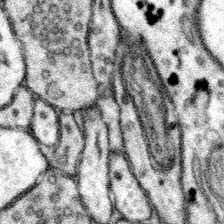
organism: Mouse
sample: Somatosensory cortex neuropil